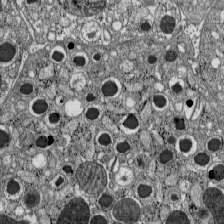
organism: C57BL Mouse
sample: Pancreatic islet